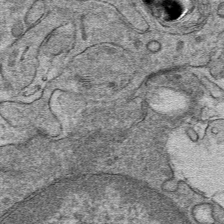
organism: Mouse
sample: Mouse hepatocytes